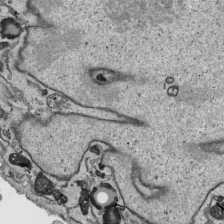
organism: Human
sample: Mitochondria in HCT116 cells